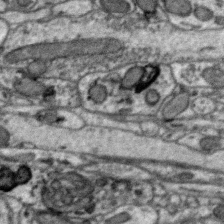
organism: Zebra finch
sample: Brain